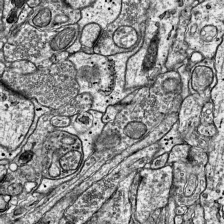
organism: Mouse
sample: Visual Cortex